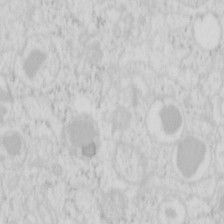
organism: Mouse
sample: Pancreas